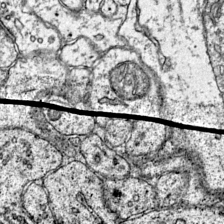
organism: Mouse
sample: Primary visual cortex